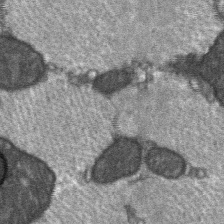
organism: C57BL Mouse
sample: Soleus